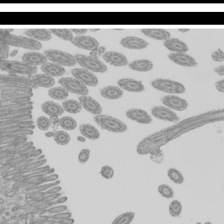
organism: Mouse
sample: Cilia; mouse epididymis